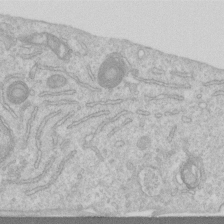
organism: Human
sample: Centriole in RPE cells